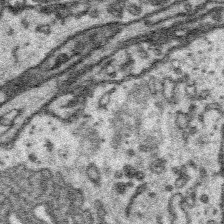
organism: Platynereis dumerilii